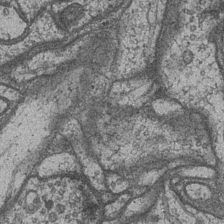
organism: Drosophila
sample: Optic medulla